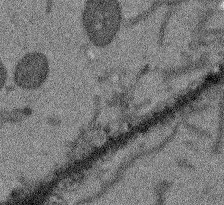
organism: Arabidopsis thaliana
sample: Root tip